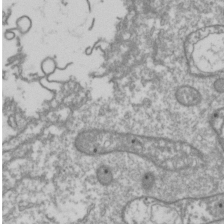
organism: Drosophila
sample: Cell division; meiosis; drosophila spermatocytes